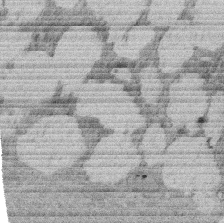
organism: Rat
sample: Salivary granule